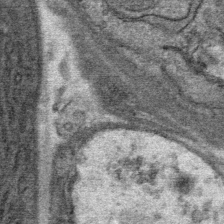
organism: Mouse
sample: Mouse Salivary gland